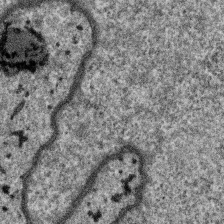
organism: Human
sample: Lung epithelial cells infected with SARS-CoV-2